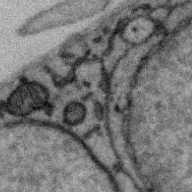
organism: Zebra finch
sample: Brain